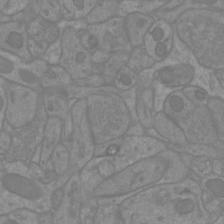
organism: Mouse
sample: Cortical neurons